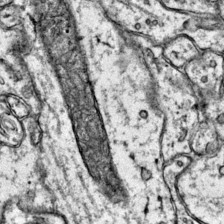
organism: Mouse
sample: Primary visual cortex